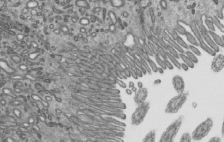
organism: Mouse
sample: Mouse epididymis efferent ductule cilia